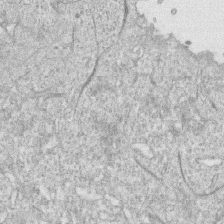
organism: Human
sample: HeLa cell HIV synapse